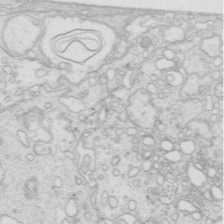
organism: Mouse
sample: Multiciliated cells